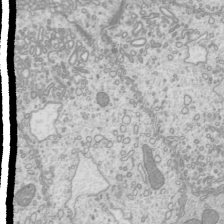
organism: Mouse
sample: Cilia; mouse epididymis